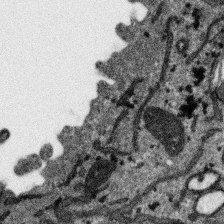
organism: Human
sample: Lung epithelial cells infected with SARS-CoV-2